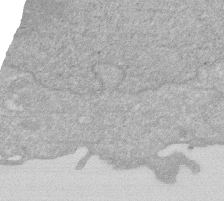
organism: Human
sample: HIV infected U937 cells